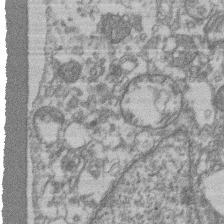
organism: Mouse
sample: T cell stromal cell synapse